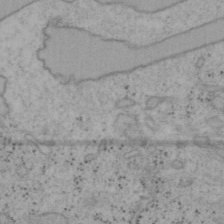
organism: Human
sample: HeLa cells